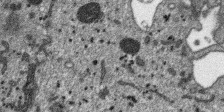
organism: Human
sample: Lung epithelial cells infected with SARS-CoV-2